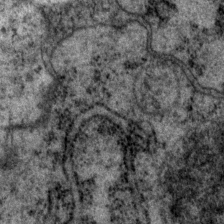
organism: P. pacificus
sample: Pharynx